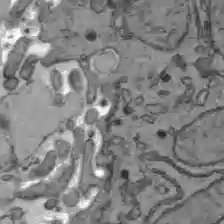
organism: C57BL Mouse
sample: Liver